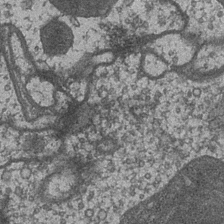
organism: Drosophila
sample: Optic medulla